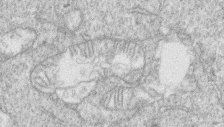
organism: Human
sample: HeLa cell HIV synapse